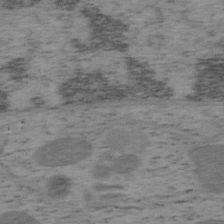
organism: Mouse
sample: OT-I killer T cells with ID8 ovarian cancer cells